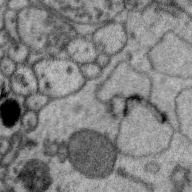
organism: Zebra finch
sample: Brain